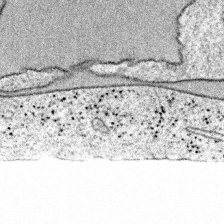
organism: Human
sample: HeLa cells